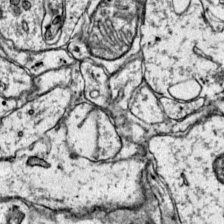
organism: Mouse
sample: Primary visual cortex